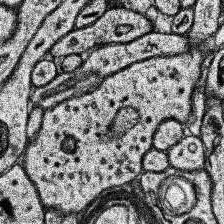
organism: Human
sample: Temporal Lobe